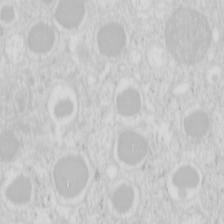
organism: Mouse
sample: Pancreas